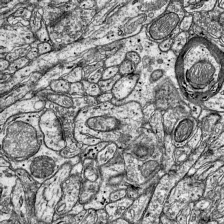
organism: Mouse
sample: Visual Cortex